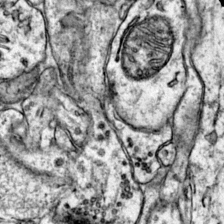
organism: Mouse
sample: Primary visual cortex